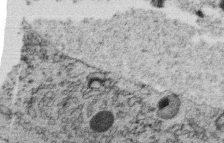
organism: C. elegans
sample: C. elegans oocyte; sperm cells